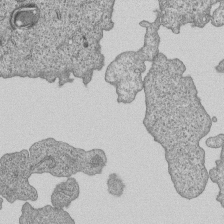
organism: Human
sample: MDA-MB-231 cells